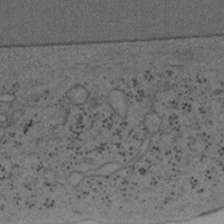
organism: Human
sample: HeLa cells